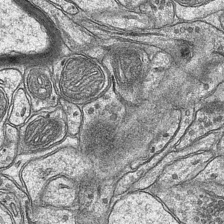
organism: Mouse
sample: CA1 Hippocampus